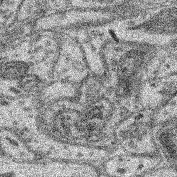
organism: Mouse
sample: Retina